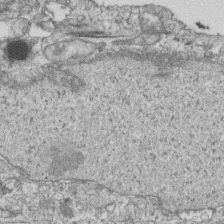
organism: Human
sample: HeLa cell HIV synapse